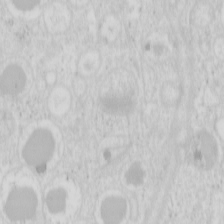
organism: Mouse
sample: Pancreas